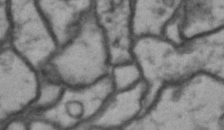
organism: Drosophila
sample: Brain